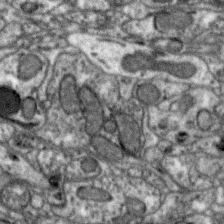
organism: Zebra finch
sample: Brain